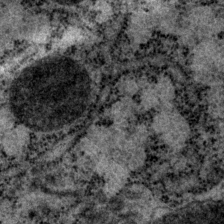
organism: P. pacificus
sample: Pharynx